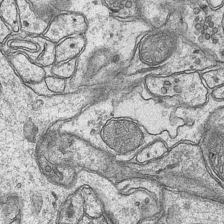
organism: Mouse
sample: CA1 Hippocampus